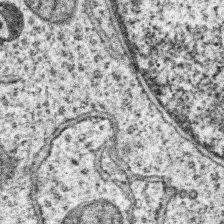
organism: Human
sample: HeLa cells